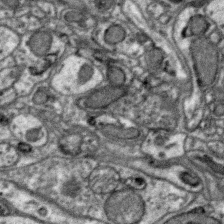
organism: Zebra finch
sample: Brain